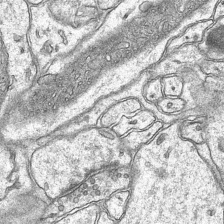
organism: Mouse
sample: CA1 Hippocampus